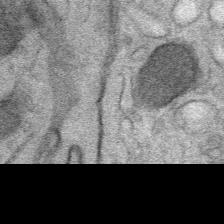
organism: Mouse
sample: Mouse Salivary gland